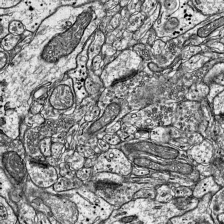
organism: Mouse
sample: Visual Cortex